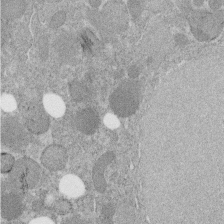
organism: C. elegans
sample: C. elegans embryo early stage